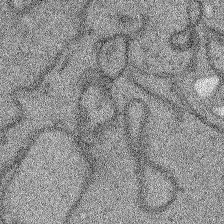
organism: Human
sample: HeLa cells